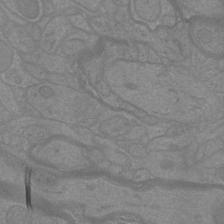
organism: Mouse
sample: Cortical neurons